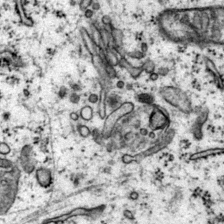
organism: Mouse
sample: Primary visual cortex